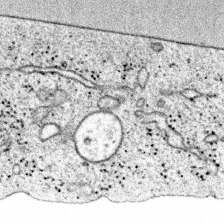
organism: Human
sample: HeLa cells